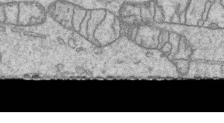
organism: Human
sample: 1205lu cells